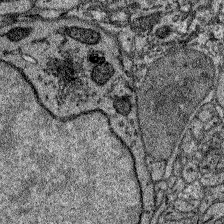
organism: Zebrafish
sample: Larval olfactory bulb